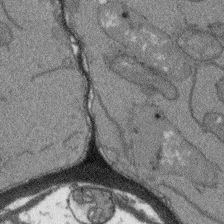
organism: Arabidopsis thaliana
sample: Root tip